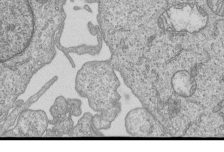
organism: Human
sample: MDA-MB-231 cells